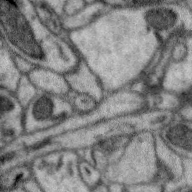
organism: Zebra finch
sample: Brain